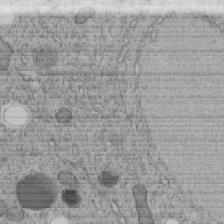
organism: C. elegans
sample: C. elegans embryo early stage